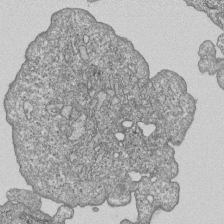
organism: Human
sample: MDA-MB-231 cells